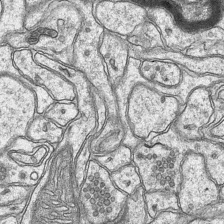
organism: Mouse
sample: CA1 Hippocampus